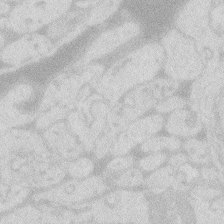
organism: Zebrafish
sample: Macrophage